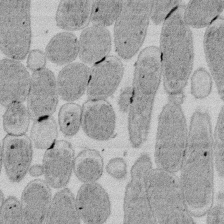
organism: E. coli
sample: Bacterial nucleoid